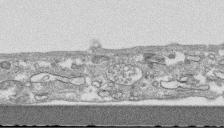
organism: Human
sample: CRL-1474